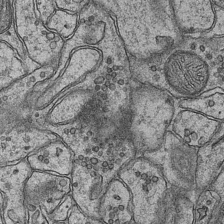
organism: Mouse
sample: CA1 Hippocampus